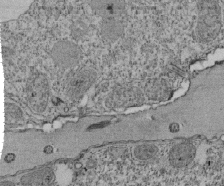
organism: Tetrahymena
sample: Cilia in tetrahymena